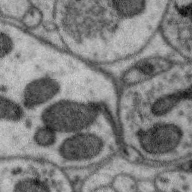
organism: Zebra finch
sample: Brain